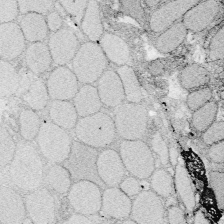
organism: Zebrafish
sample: Whole-Brain